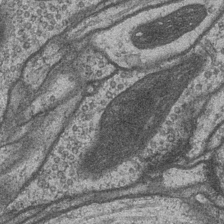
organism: Drosophila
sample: Optic medulla